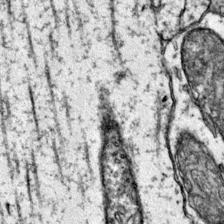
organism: Mouse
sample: Primary visual cortex